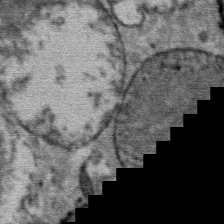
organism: Mouse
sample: Mouse Salivary gland